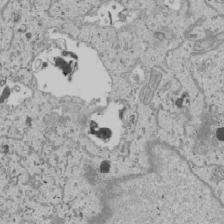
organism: Human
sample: Mitochondria in U2OS cells